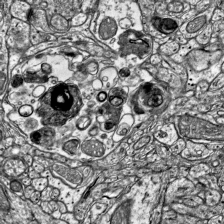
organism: Mouse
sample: Visual Cortex